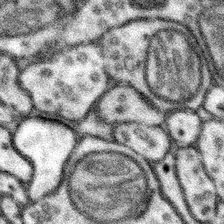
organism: Mouse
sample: Somatosensory cortex neuropil